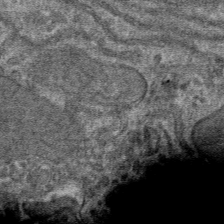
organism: Mouse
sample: Mouse hepatocytes